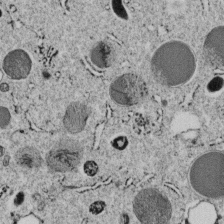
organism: C. elegans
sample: C. elegans embryo early stage